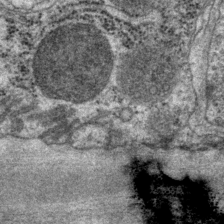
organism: P. pacificus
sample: Pharynx